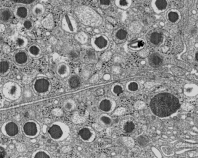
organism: C57BL Mouse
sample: Pancreatic islet